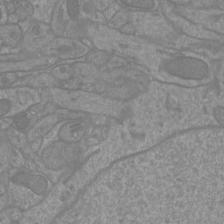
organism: Mouse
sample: Cortical neurons